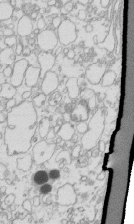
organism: Mouse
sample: Macrophages